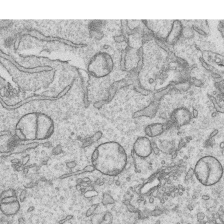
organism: Human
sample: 1205lu cells